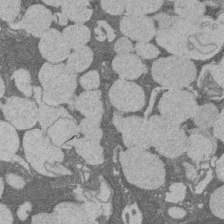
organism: Rat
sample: Salivary granule